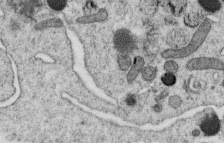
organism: C. elegans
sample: C. elegans oocyte; sperm cells